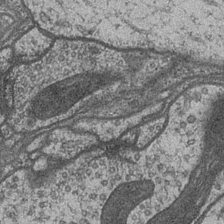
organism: Drosophila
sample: Optic medulla